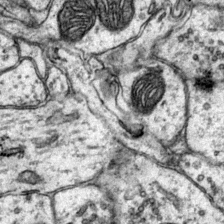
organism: Mouse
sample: Primary visual cortex